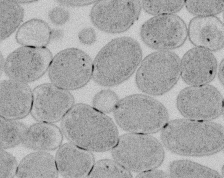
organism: E. coli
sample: Bacterial nucleoid